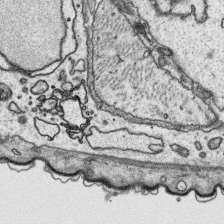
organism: Platynereis dumerilii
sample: Parapodia